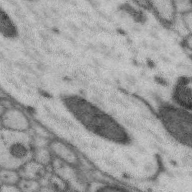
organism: Zebra finch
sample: Brain